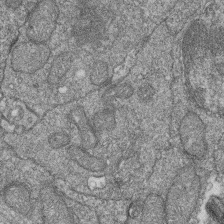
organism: Zebrafish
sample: Cilia; retinal pigment epithelium